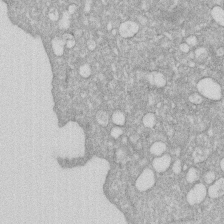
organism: Human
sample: HIV infected U937 cells